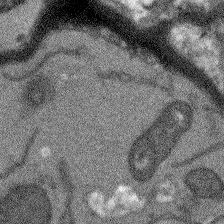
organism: Arabidopsis thaliana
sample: Root tip